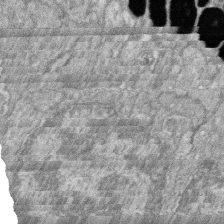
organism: Zebrafish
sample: Cilia; retinal pigment epithelium